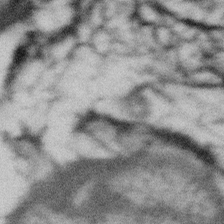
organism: Gemmata obscuriglobus